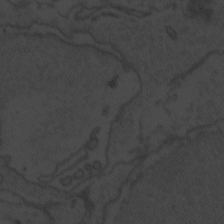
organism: Zebrafish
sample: Macrophage infected with Toxoplasma gondii